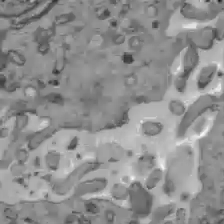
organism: C57BL Mouse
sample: Liver